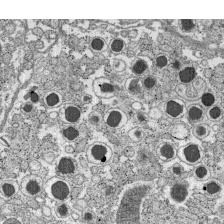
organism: C57BL Mouse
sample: Pancreatic islet